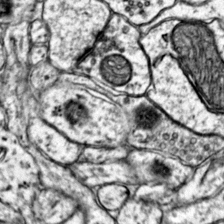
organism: Mouse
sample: Primary visual cortex